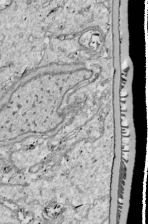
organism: Drosophila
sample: Cell division; meiosis; drosophila spermatocytes